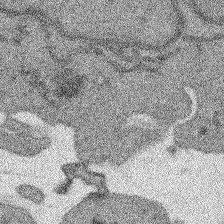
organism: Human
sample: HeLa cells